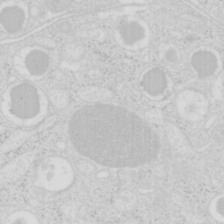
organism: Mouse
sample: Pancreas